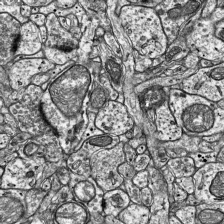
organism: Mouse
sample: Visual Cortex